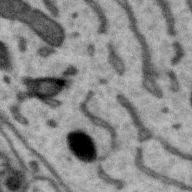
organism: Zebra finch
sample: Brain